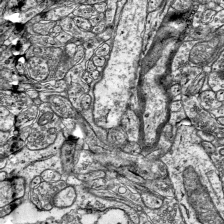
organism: Mouse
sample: Visual Cortex